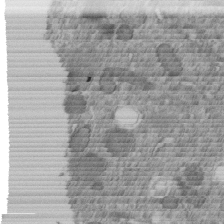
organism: C. elegans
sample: C. elegans embryo early stage